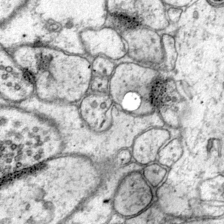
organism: Mouse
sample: Primary visual cortex